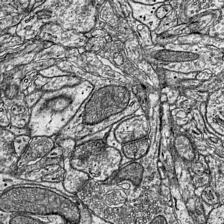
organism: Mouse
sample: Visual Cortex